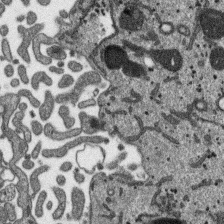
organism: Human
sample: Lung epithelial cells infected with SARS-CoV-2